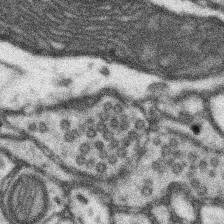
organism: Mouse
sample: Somatosensory cortex neuropil